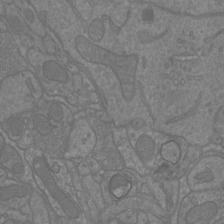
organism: Mouse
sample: Cortical neurons